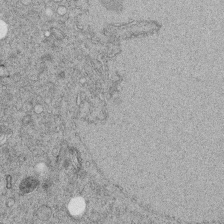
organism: C. elegans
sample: C. elegans embryo early stage